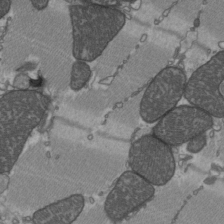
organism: C57BL Mouse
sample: Heart